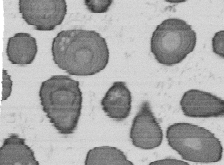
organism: B. subtilis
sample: Bacterial spore